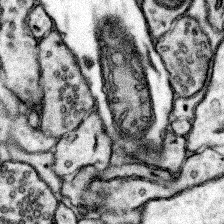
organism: Mouse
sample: Somatosensory cortex neuropil